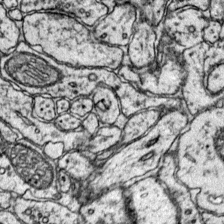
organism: Mouse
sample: Primary visual cortex